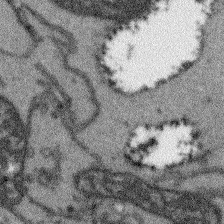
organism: Arabidopsis thaliana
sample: Root tip